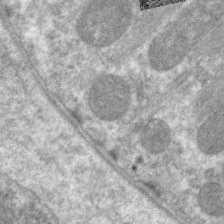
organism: C. elegans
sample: Pharynx